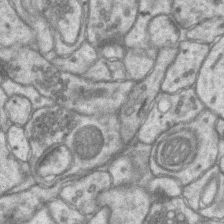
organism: Mouse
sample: CA1 Hippocampus